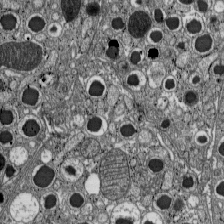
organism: C57BL Mouse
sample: Pancreatic islet